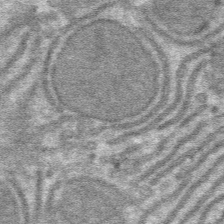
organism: Mouse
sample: Mouse hepatocytes